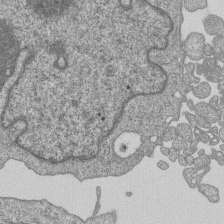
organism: Human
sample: MDA-MB-231 cells